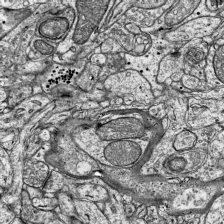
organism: Mouse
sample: Visual Cortex